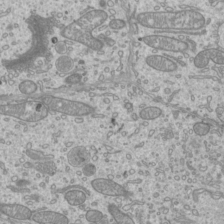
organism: Mouse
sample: Cilia; mouse epididymis